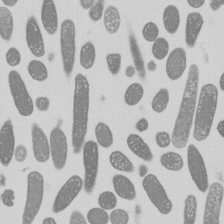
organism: E. coli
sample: Bacterial nucleoid